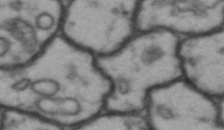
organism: Drosophila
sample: Brain